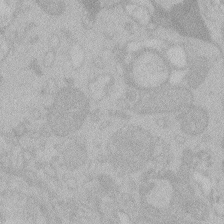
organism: Zebrafish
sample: Macrophage infected with Toxoplasma gondii